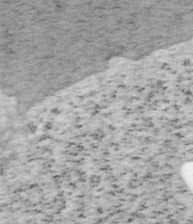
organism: Mouse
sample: OT-I killer T cells with ID8 ovarian cancer cells